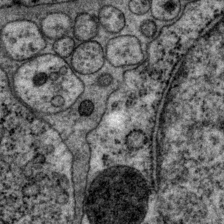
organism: P. pacificus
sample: Pharynx